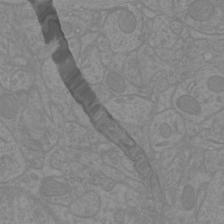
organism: Mouse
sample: Cortical neurons